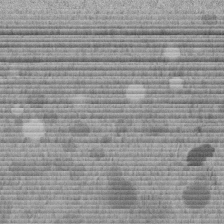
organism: C. elegans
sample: C. elegans embryo early stage